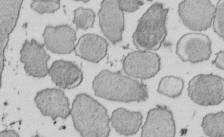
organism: E. coli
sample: Bacterial nucleoid